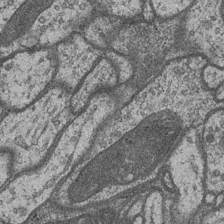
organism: Drosophila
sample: Optic medulla